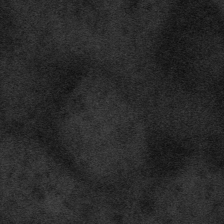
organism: Tuwongella immobilis